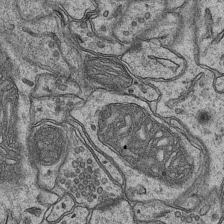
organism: Mouse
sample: CA1 Hippocampus